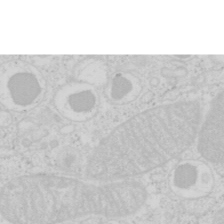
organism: Mouse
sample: Pancreas